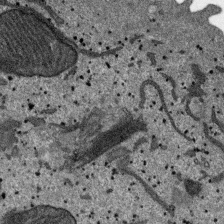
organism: Human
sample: Lung epithelial cells, uninfected (mock) control